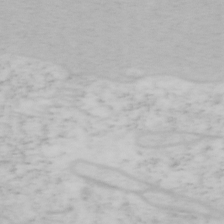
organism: Mouse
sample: OT-I killer T cells with ID8 ovarian cancer cells